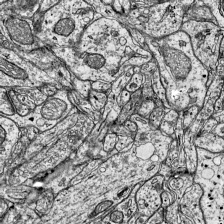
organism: Mouse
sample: Visual Cortex